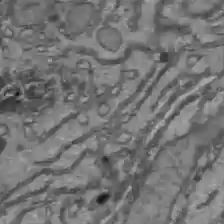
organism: C57BL Mouse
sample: Liver